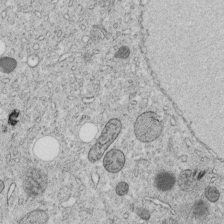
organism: C. elegans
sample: C. elegans embryo early stage